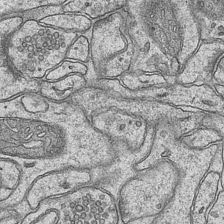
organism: Mouse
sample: CA1 Hippocampus